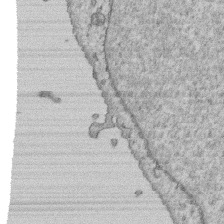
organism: Human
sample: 1205lu cells